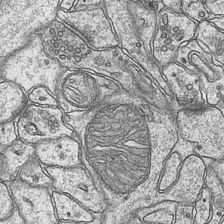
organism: Mouse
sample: CA1 Hippocampus